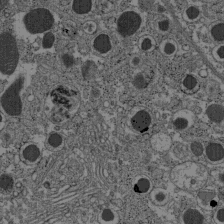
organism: C57BL Mouse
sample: Pancreatic islet